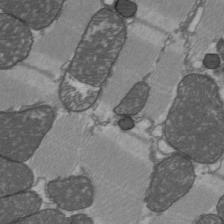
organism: C57BL Mouse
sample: Heart